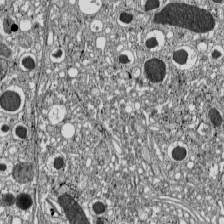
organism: C57BL Mouse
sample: Pancreatic islet